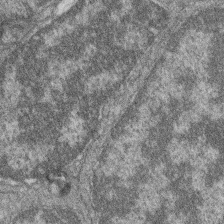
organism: Zebrafish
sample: Cilia; retinal pigment epithelium